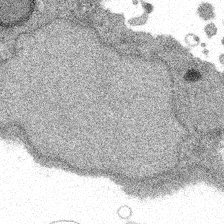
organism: Spongilla lacustris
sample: Multiple